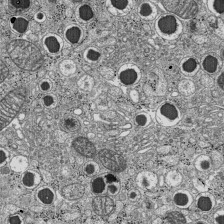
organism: C57BL Mouse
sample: Pancreatic islet